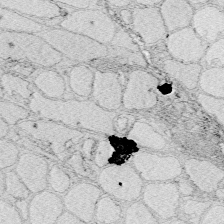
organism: Zebrafish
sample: Whole-Brain